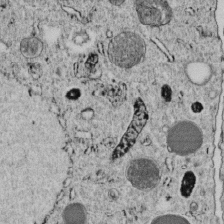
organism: C. elegans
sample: C. elegans embryo early stage